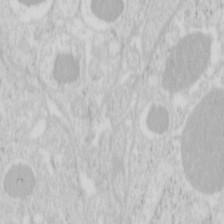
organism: Mouse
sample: Pancreas